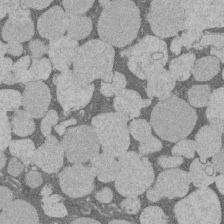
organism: Rat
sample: Salivary granule